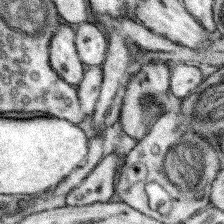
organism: Mouse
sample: Somatosensory cortex neuropil